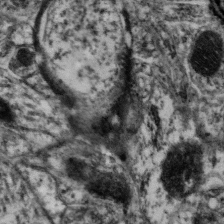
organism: Mouse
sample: Neocortex